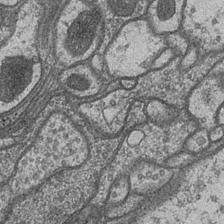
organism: Drosophila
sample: Optic medulla